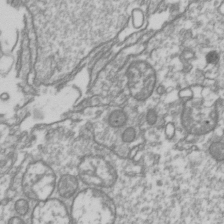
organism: Drosophila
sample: Cell division; meiosis; drosophila spermatocytes